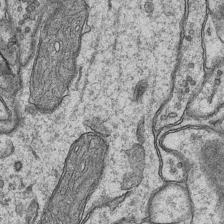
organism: Mouse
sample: CA1 Hippocampus